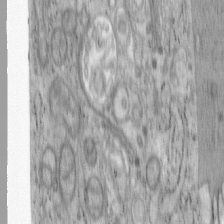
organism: Human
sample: HeLa cells